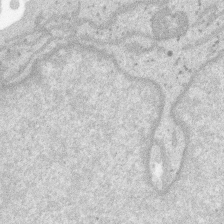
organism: Human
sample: Lung epithelial cells infected with SARS-CoV-2